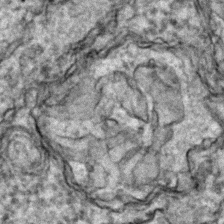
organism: Zebrafish